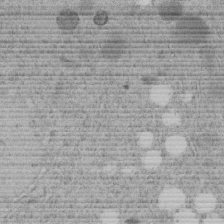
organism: C. elegans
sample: C. elegans embryo early stage